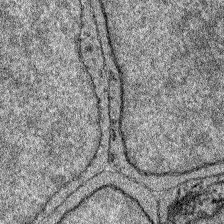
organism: Zebrafish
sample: Larval olfactory bulb